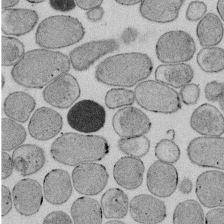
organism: E. coli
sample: Bacterial nucleoid